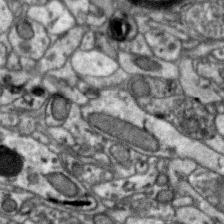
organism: Zebra finch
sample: Brain